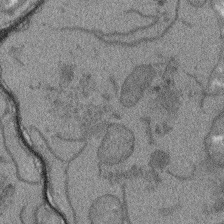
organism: Arabidopsis thaliana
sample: Root tip